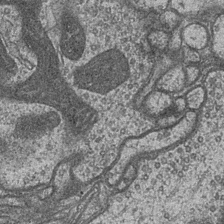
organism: Drosophila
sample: Optic medulla